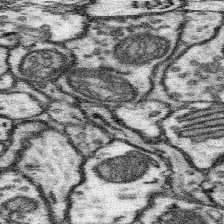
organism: Mouse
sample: Somatosensory cortex neuropil